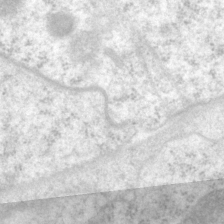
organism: P. pacificus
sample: Pharynx